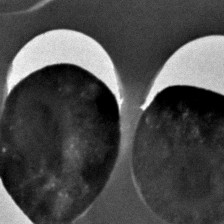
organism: C. elegans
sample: C. elegans embryo